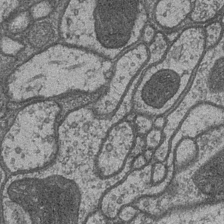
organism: Drosophila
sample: Optic medulla